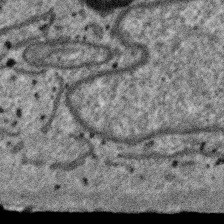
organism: Human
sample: Lung epithelial cells infected with SARS-CoV-2